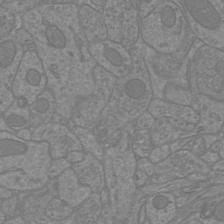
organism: Mouse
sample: Cortical neurons